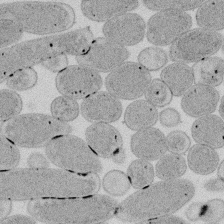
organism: E. coli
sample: Bacterial nucleoid